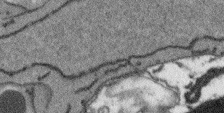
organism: Arabidopsis thaliana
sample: Root tip